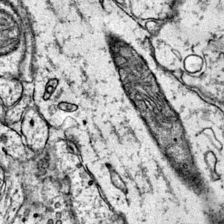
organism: Mouse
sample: Primary visual cortex